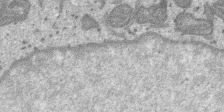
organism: Human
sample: Lung epithelial cells infected with SARS-CoV-2